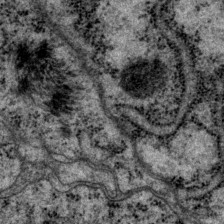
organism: P. pacificus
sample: Pharynx